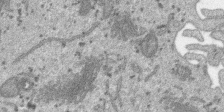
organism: Human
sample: Lung epithelial cells infected with SARS-CoV-2